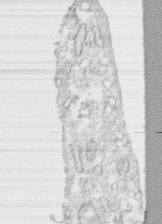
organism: Human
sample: CRL-1474